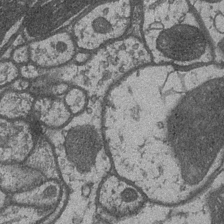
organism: Drosophila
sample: Optic medulla